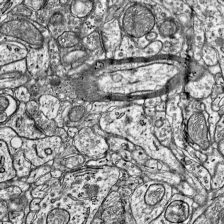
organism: Mouse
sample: Visual Cortex